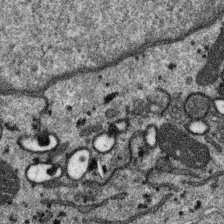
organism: Human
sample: Lung epithelial cells infected with SARS-CoV-2